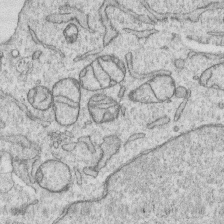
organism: Human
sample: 1205lu cells